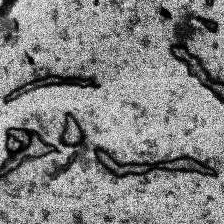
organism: Human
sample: Temporal Lobe